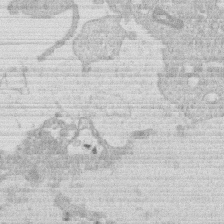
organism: Human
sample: Macrophage cells